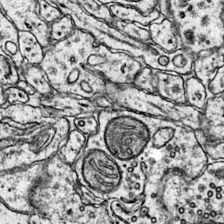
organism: Mouse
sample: Primary visual cortex